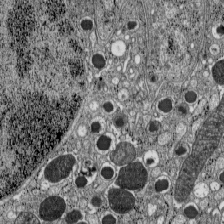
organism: C57BL Mouse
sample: Pancreatic islet